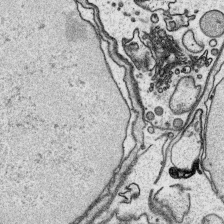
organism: Platynereis dumerilii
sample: Parapodia